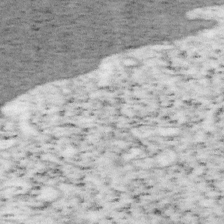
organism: Mouse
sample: OT-I killer T cells with ID8 ovarian cancer cells